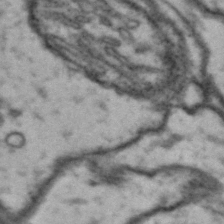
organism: Drosophila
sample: Brain